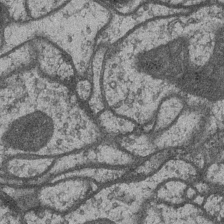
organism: Drosophila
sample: Optic medulla